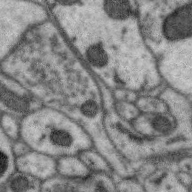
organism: Zebra finch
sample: Brain